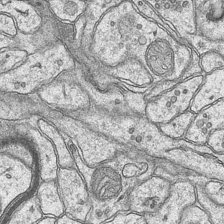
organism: Mouse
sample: CA1 Hippocampus